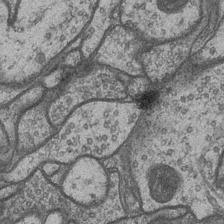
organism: Drosophila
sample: Optic medulla